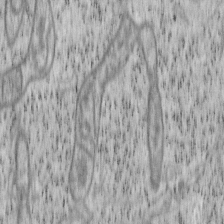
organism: Human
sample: HeLa cells